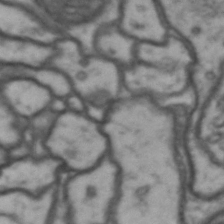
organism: Drosophila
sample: Brain